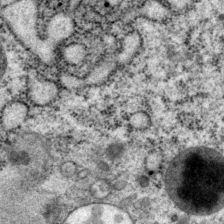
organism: P. pacificus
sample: Pharynx